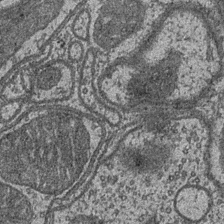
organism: Drosophila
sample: Optic medulla